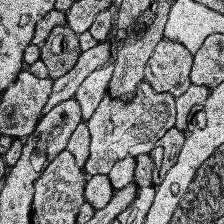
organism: Human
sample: Temporal Lobe